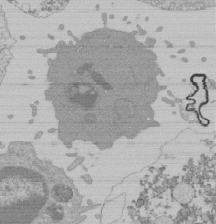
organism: Mouse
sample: Activated Pmel transgenic CD8+ T Cells